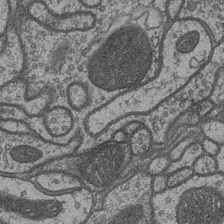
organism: Drosophila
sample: Optic medulla